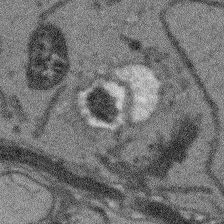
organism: Arabidopsis thaliana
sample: Root tip